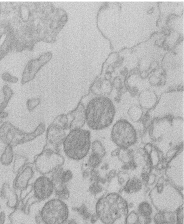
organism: Human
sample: Macrophage cells